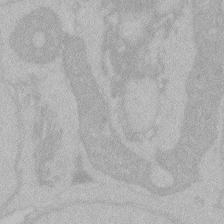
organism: Zebrafish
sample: Macrophage infected with Toxoplasma gondii